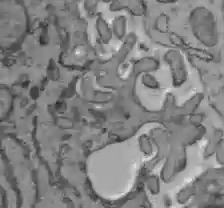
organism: C57BL Mouse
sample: Liver